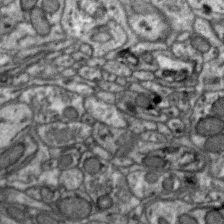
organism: Zebra finch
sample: Brain